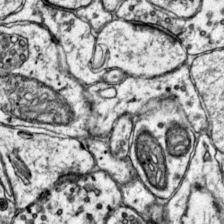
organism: Mouse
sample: Primary visual cortex